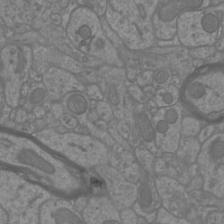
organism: Mouse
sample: Cortical neurons